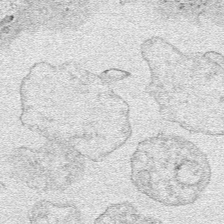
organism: Human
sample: Mitochondria in HCT116 cells